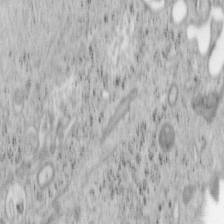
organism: Human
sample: HeLa cells